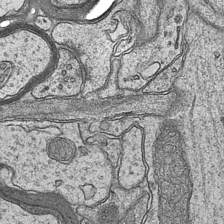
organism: Mouse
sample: CA1 Hippocampus